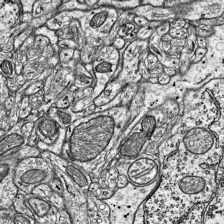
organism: Mouse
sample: Visual Cortex